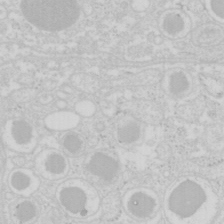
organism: Mouse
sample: Pancreas